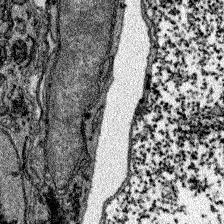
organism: Zebrafish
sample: Larval olfactory bulb